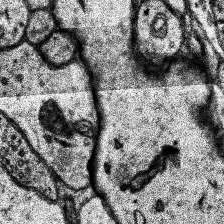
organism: Human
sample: Temporal Lobe